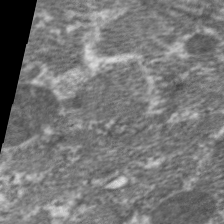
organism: C. elegans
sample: Pharynx